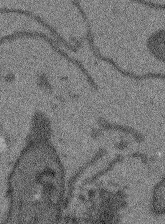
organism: Arabidopsis thaliana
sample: Root tip